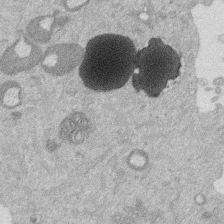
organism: Mouse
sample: Dividing mouse embryo 1 cell stage